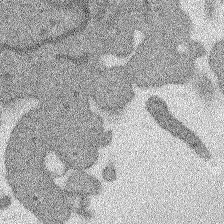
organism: Human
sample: HeLa cells